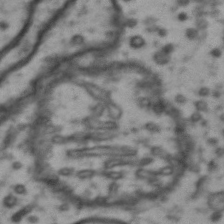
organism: Drosophila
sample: Brain